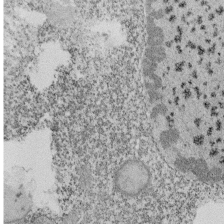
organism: Tetrahymena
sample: Cilia in tetrahymena